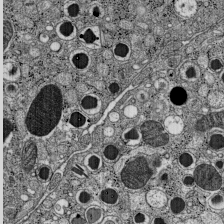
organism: C57BL Mouse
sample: Pancreatic islet